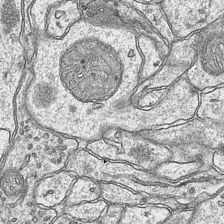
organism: Mouse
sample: CA1 Hippocampus